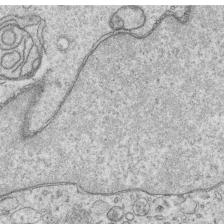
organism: Human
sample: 1205lu cells